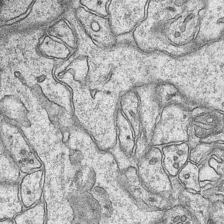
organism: Mouse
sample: CA1 Hippocampus